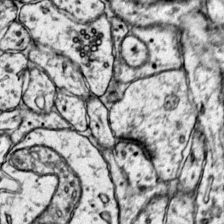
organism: Mouse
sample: Primary visual cortex